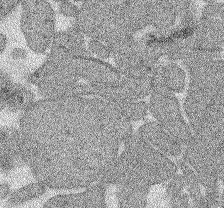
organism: Human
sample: HeLa cells